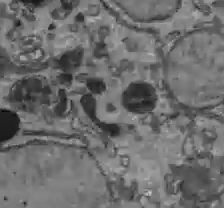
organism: C57BL Mouse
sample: Liver